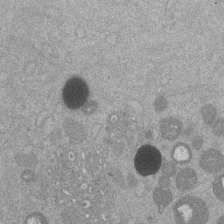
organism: Mouse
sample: Dividing mouse embryo 1 cell stage